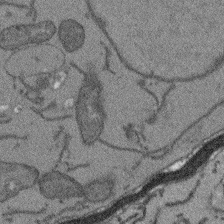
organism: Arabidopsis thaliana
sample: Root tip